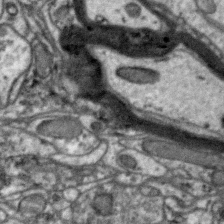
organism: Zebra finch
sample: Brain